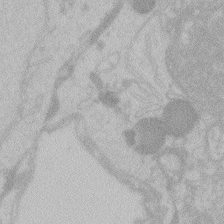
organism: Zebrafish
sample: Macrophage infected with Toxoplasma gondii